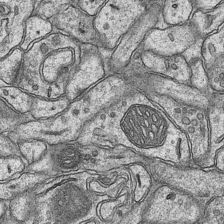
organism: Mouse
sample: CA1 Hippocampus